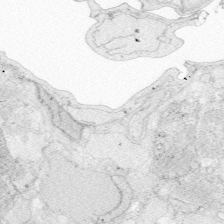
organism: Zebrafish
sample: Whole-Brain